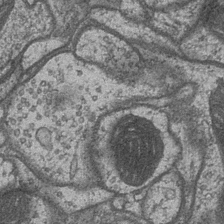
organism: Drosophila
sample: Optic medulla